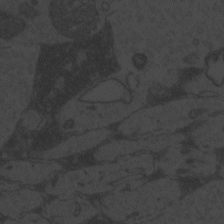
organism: Zebrafish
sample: Macrophage infected with Toxoplasma gondii